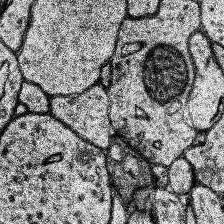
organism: Human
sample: Temporal Lobe